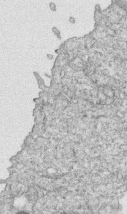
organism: Human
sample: HeLa cell HIV synapse